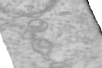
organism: Human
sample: Centriole in RPE cells